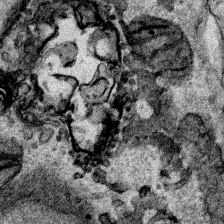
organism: Human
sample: Mitochondria in HCT116 cells